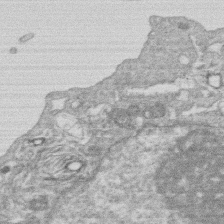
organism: Human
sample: Macrophage cells